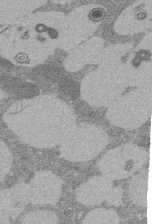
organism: Rat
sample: Salivary granule